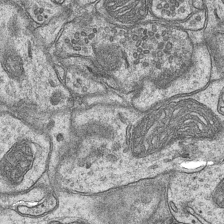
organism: Mouse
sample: CA1 Hippocampus